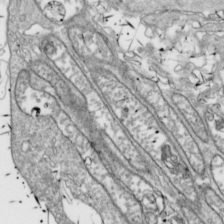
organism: Drosophila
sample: Cell division; meiosis; drosophila spermatocytes